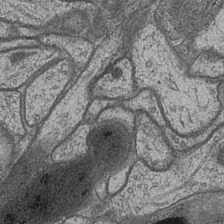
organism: Drosophila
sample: Optic medulla